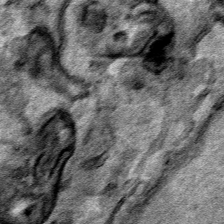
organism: Human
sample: Mitochondria in HCT116 cells